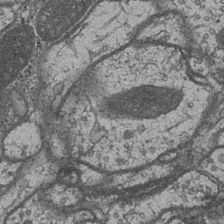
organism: Drosophila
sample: Optic medulla